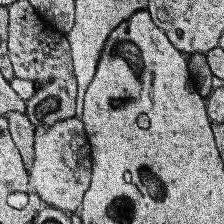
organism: Human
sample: Temporal Lobe